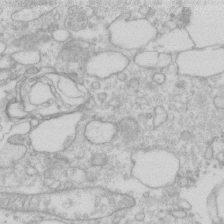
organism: Human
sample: Fibroblast cells